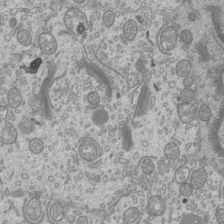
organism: Mouse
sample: Cilia; mouse epididymis